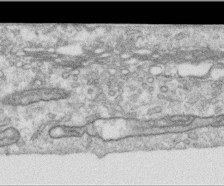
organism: Human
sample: Centriole in RPE cells